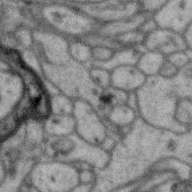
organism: Zebra finch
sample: Brain